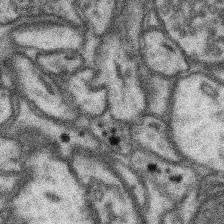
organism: Mouse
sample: Somatosensory cortex neuropil